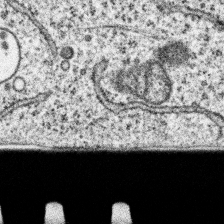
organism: Human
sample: HeLa cells